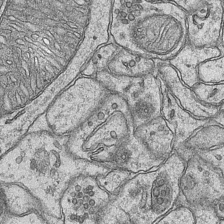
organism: Mouse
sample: CA1 Hippocampus